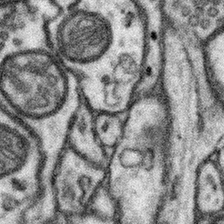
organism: Mouse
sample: Somatosensory cortex neuropil